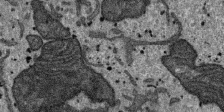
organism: Human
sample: Lung epithelial cells, uninfected (mock) control